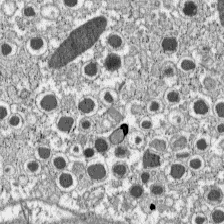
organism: C57BL Mouse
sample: Pancreatic islet